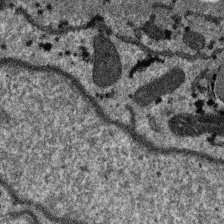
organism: Human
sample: Lung epithelial cells infected with SARS-CoV-2